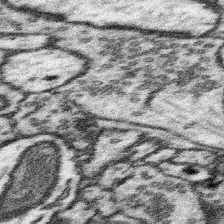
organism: Mouse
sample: Somatosensory cortex neuropil